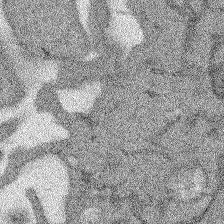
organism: Human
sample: HeLa cells